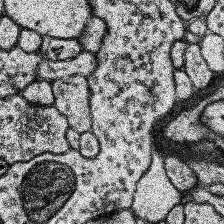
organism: Human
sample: Temporal Lobe